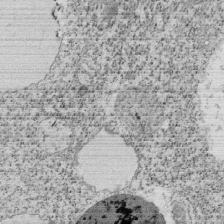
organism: Tetrahymena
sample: Cilia in tetrahymena